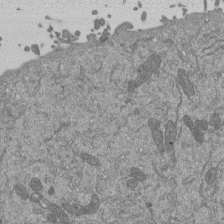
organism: Mouse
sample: ED-1 cell nuclei; centrioles